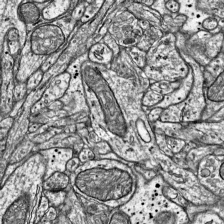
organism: Mouse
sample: Visual Cortex